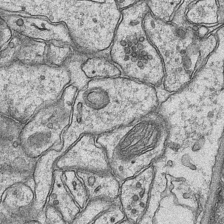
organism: Mouse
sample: CA1 Hippocampus